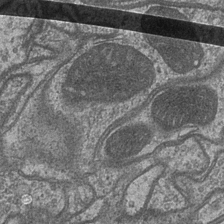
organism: Drosophila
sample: Optic medulla